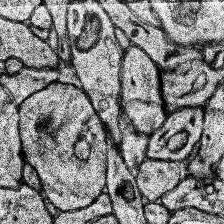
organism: Human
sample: Temporal Lobe